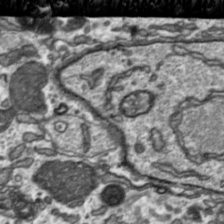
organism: Toxoplasma gondii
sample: Parasites in a vacuole inside a host cell